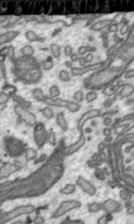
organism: Toxoplasma gondii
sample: Parasites in a vacuole inside a host cell